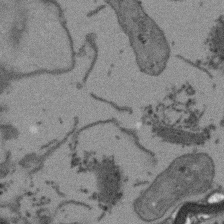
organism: Arabidopsis thaliana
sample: Root tip